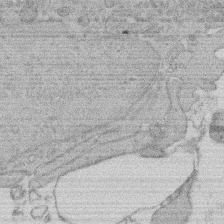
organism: Rat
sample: Salivary granule